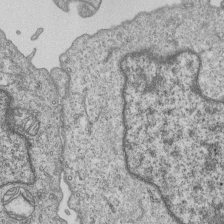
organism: Human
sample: MDA-MB-231 cells